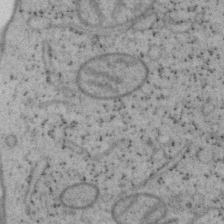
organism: Human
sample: HeLa cells